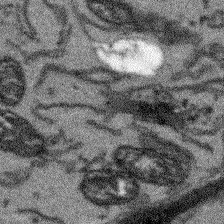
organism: Arabidopsis thaliana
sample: Root tip